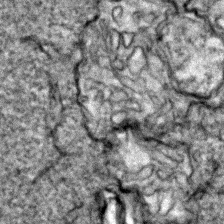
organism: Zebrafish